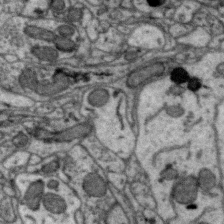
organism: Zebra finch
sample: Brain